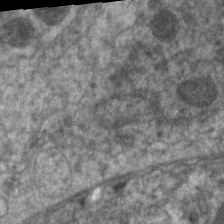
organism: C. elegans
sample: Pharynx